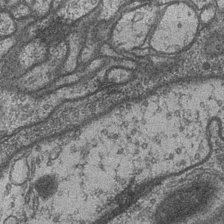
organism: Drosophila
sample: Optic medulla